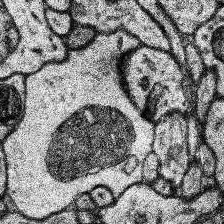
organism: Human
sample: Temporal Lobe